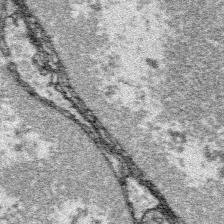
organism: Platynereis dumerilii